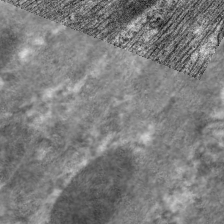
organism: C. elegans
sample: Pharynx